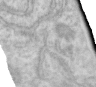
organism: Human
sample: Centriole in RPE cells